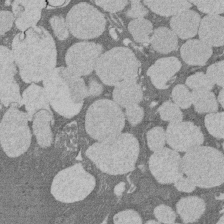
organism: Rat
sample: Salivary granule